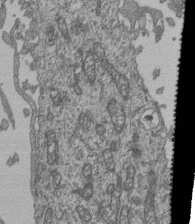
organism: Human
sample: Retinal organoid Rod and Cone cells